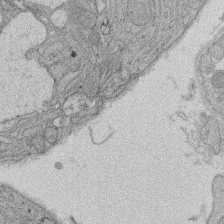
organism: Rat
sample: Salivary granule